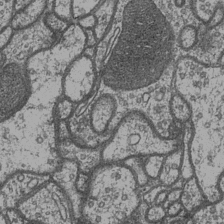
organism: Drosophila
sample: Optic medulla